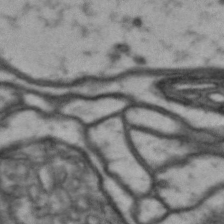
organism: Drosophila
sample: Brain